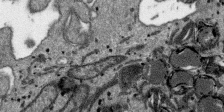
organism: Human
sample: Lung epithelial cells, uninfected (mock) control